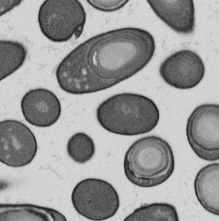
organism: B. subtilis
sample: Bacterial spore